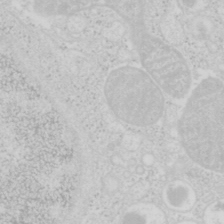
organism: Mouse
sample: Pancreas